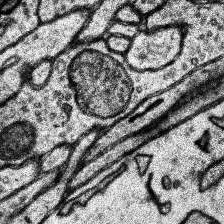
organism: Human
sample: Temporal Lobe